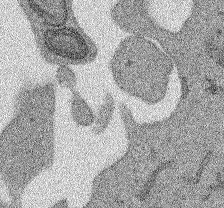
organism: Human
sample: HeLa cells